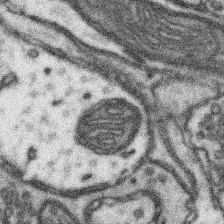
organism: Mouse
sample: Somatosensory cortex neuropil